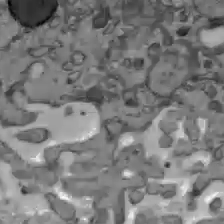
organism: C57BL Mouse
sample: Liver